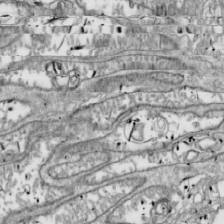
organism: Drosophila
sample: Cell division; meiosis; drosophila spermatocytes